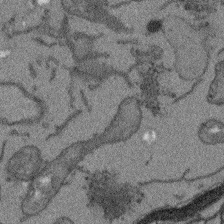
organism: Arabidopsis thaliana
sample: Root tip